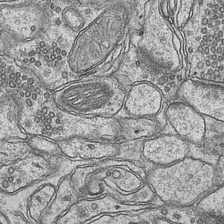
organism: Mouse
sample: CA1 Hippocampus